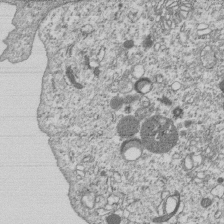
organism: Human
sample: MDA-MB-231 cells